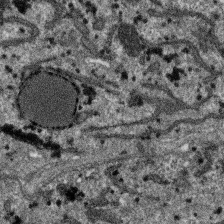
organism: Human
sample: Lung epithelial cells infected with SARS-CoV-2